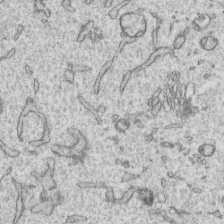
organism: Human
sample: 1205lu cells